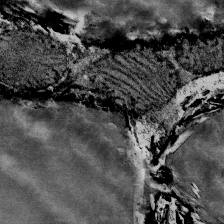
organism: Mouse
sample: Mouse Salivary gland